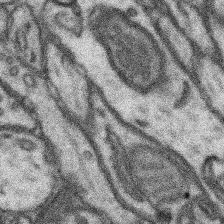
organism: Mouse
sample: Somatosensory cortex neuropil